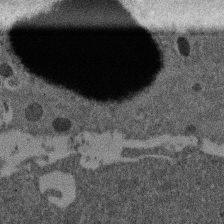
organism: Mouse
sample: Dividing mouse embryo 1 cell stage